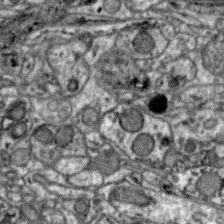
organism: Zebra finch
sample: Brain